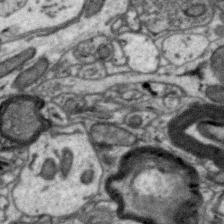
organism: Zebra finch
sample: Brain